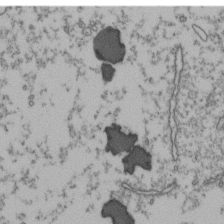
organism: Human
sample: Activated Jurkat CD4+ T cells